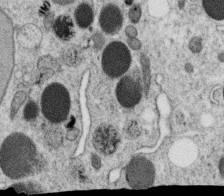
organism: C. elegans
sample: C. elegans oocyte; sperm cells